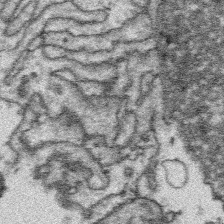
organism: Platynereis dumerilii